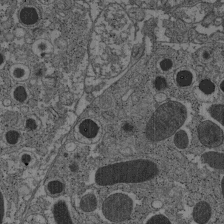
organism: C57BL Mouse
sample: Pancreatic islet